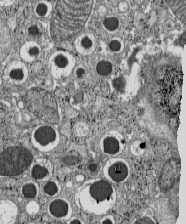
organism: C57BL Mouse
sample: Pancreatic islet